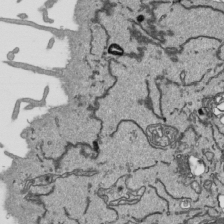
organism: Human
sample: Mitochondria in HCT116 cells